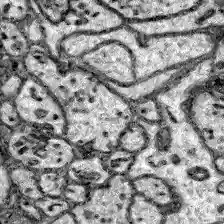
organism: Zebrafish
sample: Brain